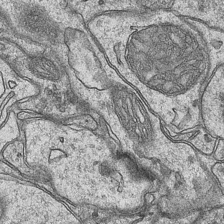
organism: Mouse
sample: CA1 Hippocampus